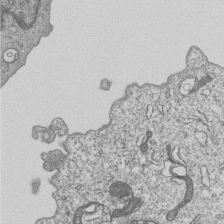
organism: Human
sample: MDA-MB-231 cells